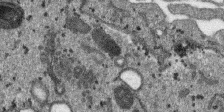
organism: Human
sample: Lung epithelial cells infected with SARS-CoV-2